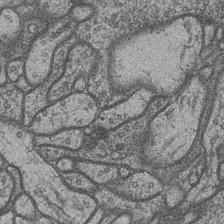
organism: Drosophila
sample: Optic medulla